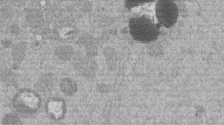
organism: Mouse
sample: Dividing mouse embryo 1 cell stage